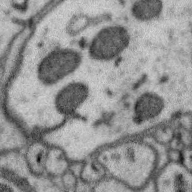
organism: Zebra finch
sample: Brain